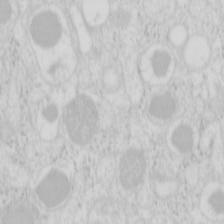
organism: Mouse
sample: Pancreas